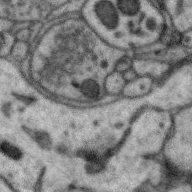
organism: Zebra finch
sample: Brain